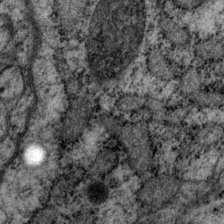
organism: P. pacificus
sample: Pharynx